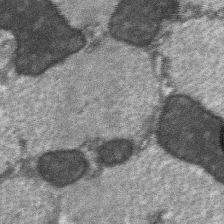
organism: C57BL Mouse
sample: Soleus